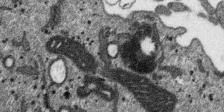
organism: Human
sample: Lung epithelial cells infected with SARS-CoV-2